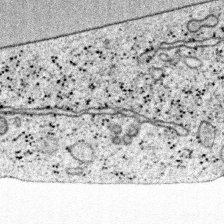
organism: Human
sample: HeLa cells